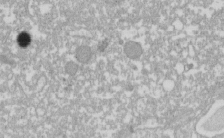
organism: Xenopus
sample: Cilia; centrioles in frog embryo cells